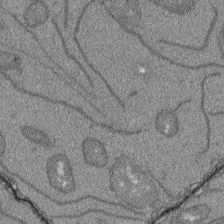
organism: Arabidopsis thaliana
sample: Root tip